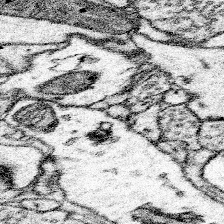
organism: Mouse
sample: Somatosensory cortex neuropil